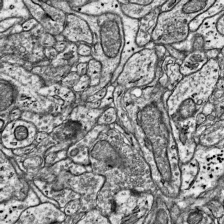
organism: Mouse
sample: Visual Cortex